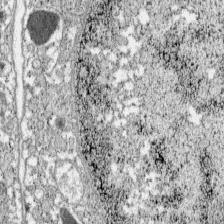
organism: C57BL Mouse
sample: Pancreatic islet